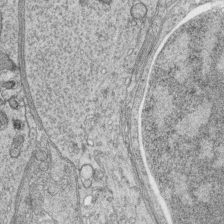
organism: Zebrafish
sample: synaptic ribbons in rod cells and cone cells